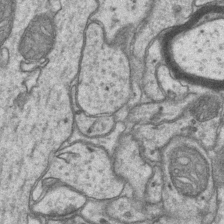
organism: Mouse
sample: CA1 Hippocampus